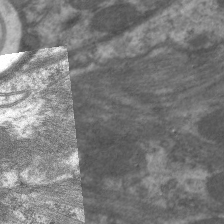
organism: C. elegans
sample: Pharynx